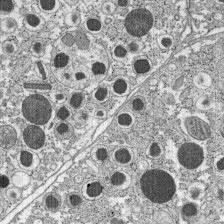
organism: C57BL Mouse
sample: Pancreatic islet